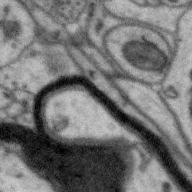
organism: Zebra finch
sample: Brain